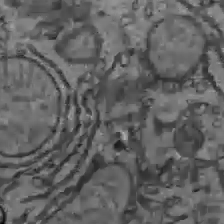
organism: C57BL Mouse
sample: Liver